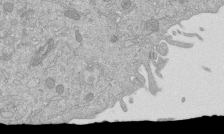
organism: Mouse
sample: ED-1 cell nuclei; centrioles